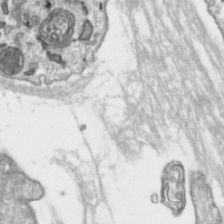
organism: Toxoplasma gondii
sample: Parasites in a vacuole inside a host cell